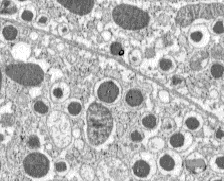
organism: C57BL Mouse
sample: Pancreatic islet